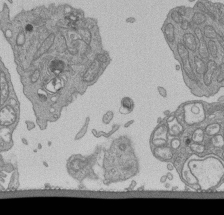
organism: Human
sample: Retinal organoid Rod and Cone cells